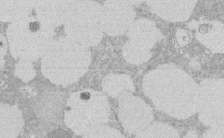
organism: Rat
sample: Salivary granule